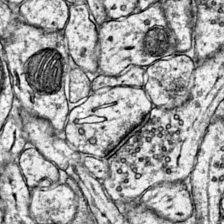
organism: Mouse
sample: Primary visual cortex